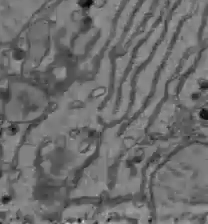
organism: C57BL Mouse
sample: Liver